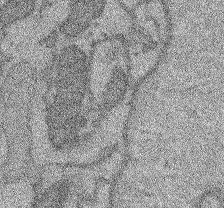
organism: Human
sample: HeLa cells